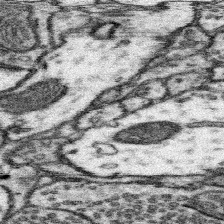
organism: Mouse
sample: Somatosensory cortex neuropil